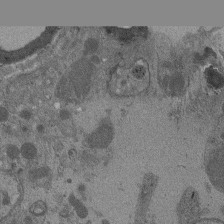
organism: Drosophila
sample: Antenna